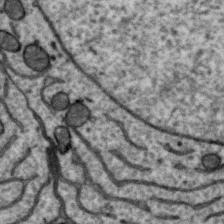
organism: Zebra finch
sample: Brain